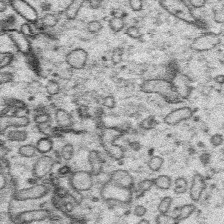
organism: Platynereis dumerilii